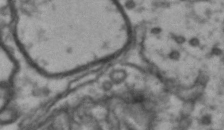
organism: Drosophila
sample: Brain